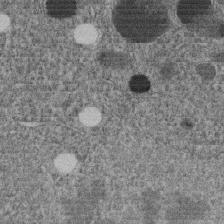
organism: C. elegans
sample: C. elegans embryo early stage